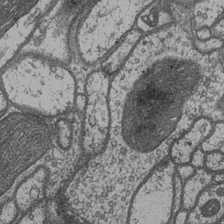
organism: Drosophila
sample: Optic medulla